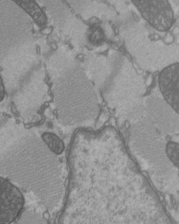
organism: C57BL Mouse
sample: Heart